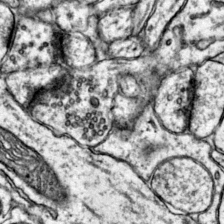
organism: Mouse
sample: Primary visual cortex